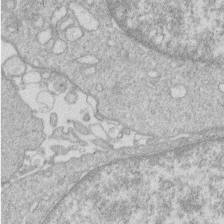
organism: Human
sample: Macrophage cells